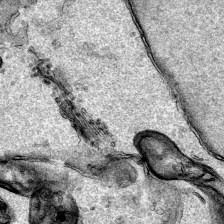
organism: Human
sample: Mitochondria in HCT116 cells